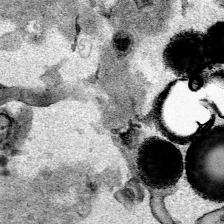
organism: Mouse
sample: Cancer cell death in ED-1 cells